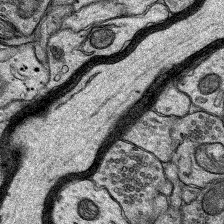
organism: Rat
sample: Hippocampus